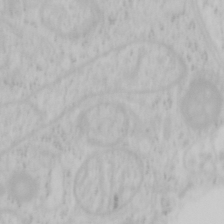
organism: Mouse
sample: OT-I killer T cells with ID8 ovarian cancer cells